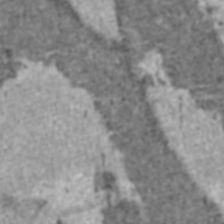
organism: C57BL Mouse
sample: Heart